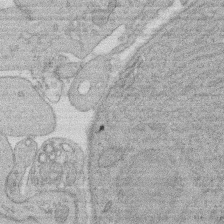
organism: Rat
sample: Salivary granule